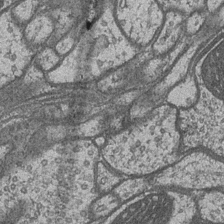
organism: Drosophila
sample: Optic medulla